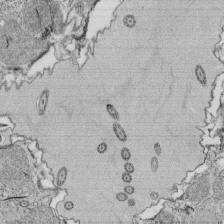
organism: Tetrahymena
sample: Cilia in tetrahymena